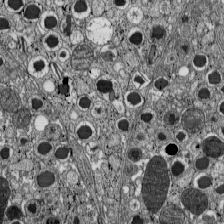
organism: C57BL Mouse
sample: Pancreatic islet